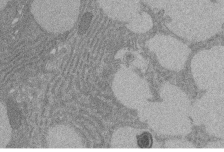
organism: Rat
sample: Salivary granule